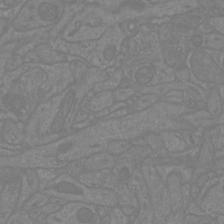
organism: Mouse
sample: Cortical neurons